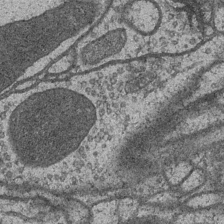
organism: Drosophila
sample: Optic medulla